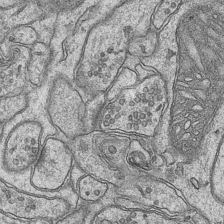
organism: Mouse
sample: CA1 Hippocampus